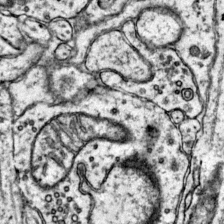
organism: Mouse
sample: Primary visual cortex